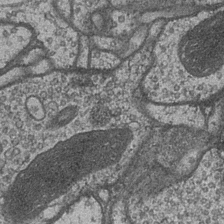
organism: Drosophila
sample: Optic medulla